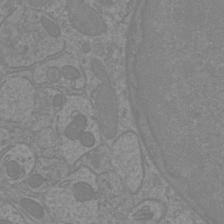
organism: Mouse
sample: Cortical neurons